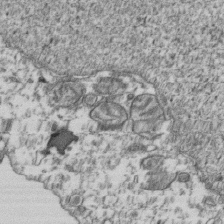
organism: Human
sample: Activated Jurkat CD4+ T cells